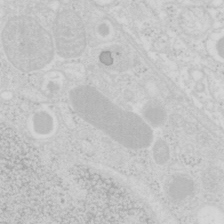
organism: Mouse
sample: Pancreas